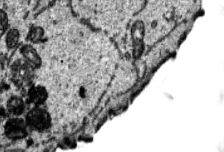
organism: Human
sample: HeLa cells